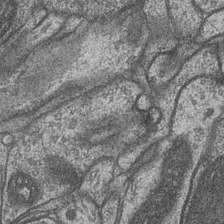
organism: Drosophila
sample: Optic medulla